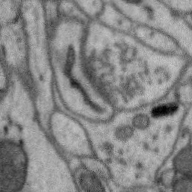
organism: Zebra finch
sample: Brain